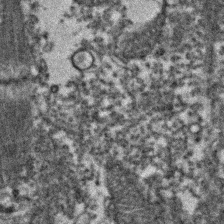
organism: Zebrafish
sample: Zebrafish embryo